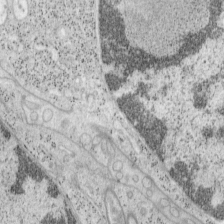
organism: Mouse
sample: OT-I killer T cells with ID8 ovarian cancer cells